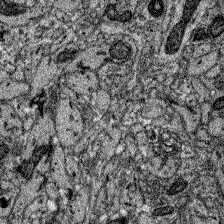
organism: Zebrafish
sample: Larval olfactory bulb